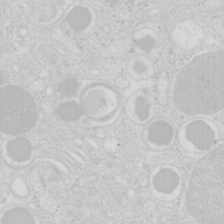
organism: Mouse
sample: Pancreas